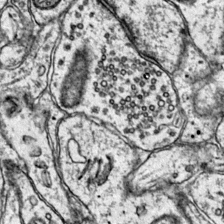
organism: Mouse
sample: Primary visual cortex